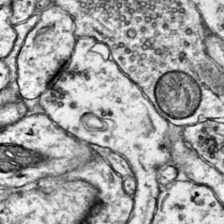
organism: Mouse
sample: Primary visual cortex